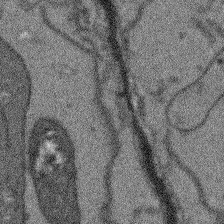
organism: Arabidopsis thaliana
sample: Root tip